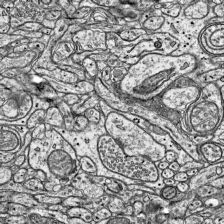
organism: Mouse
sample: Visual Cortex